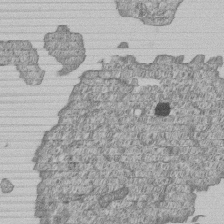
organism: Human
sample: MDA-MB-231 cells